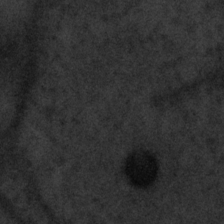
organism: Tuwongella immobilis